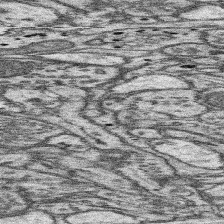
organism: Mouse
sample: Somatosensory cortex neuropil